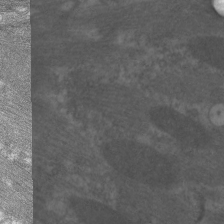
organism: C. elegans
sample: Pharynx